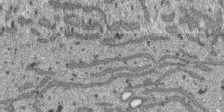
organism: Human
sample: Lung epithelial cells infected with SARS-CoV-2